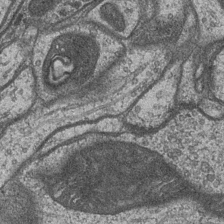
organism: Drosophila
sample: Optic medulla